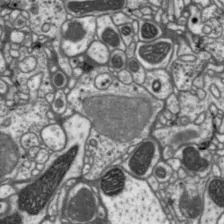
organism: Drosophila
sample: Protocerebral bridge